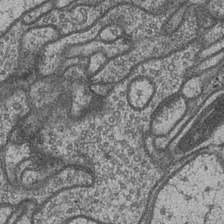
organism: Drosophila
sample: Optic medulla